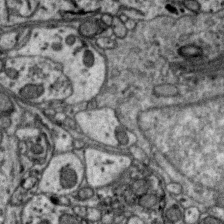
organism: Zebra finch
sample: Brain